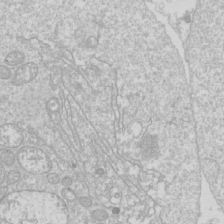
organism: Drosophila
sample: Cell division; meiosis; drosophila spermatocytes